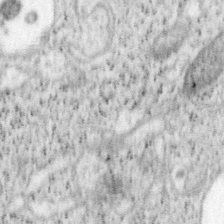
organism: Mouse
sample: OT-I killer T cells with ID8 ovarian cancer cells